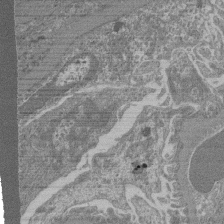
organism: Mouse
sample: Glomerulus